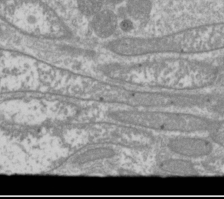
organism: Drosophila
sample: Cell division; meiosis; drosophila spermatocytes